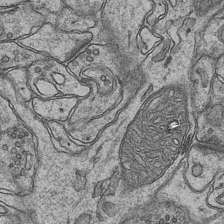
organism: Mouse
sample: CA1 Hippocampus